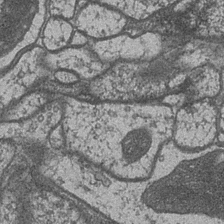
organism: Drosophila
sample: Optic medulla